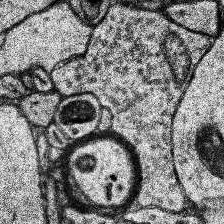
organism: Human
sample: Temporal Lobe